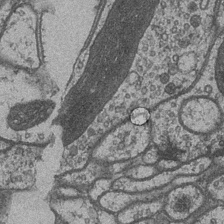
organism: Drosophila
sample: Optic medulla